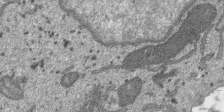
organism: Human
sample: Lung epithelial cells infected with SARS-CoV-2